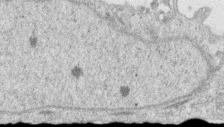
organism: Human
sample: HeLa cell HIV synapse